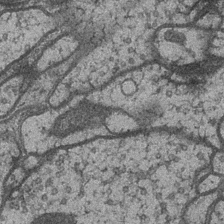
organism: Drosophila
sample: Optic medulla